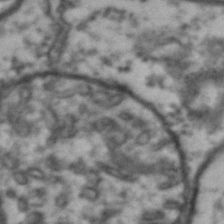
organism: Drosophila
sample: Brain